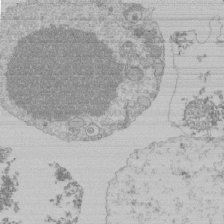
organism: Mouse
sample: Activated Pmel transgenic CD8+ T Cells